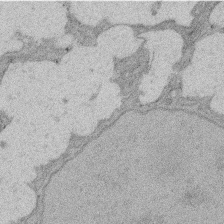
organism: Rat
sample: Salivary granule